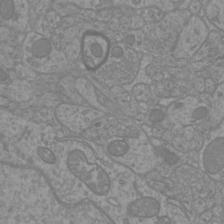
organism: Mouse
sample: Cortical neurons